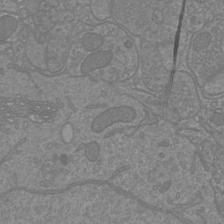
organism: Mouse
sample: Cortical neurons